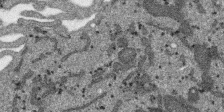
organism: Human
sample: Lung epithelial cells infected with SARS-CoV-2